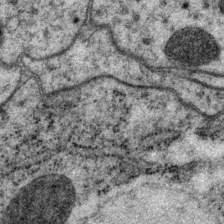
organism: P. pacificus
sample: Pharynx